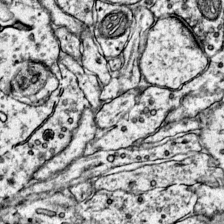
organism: Mouse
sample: Primary visual cortex